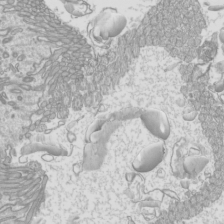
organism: Mouse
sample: Cilia; mouse epididymis